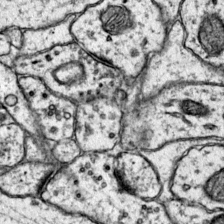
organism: Mouse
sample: Primary visual cortex